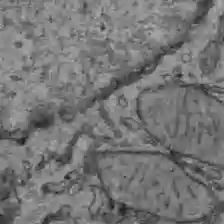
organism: C57BL Mouse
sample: Liver